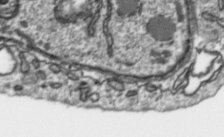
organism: Toxoplasma gondii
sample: Parasites in a vacuole inside a host cell